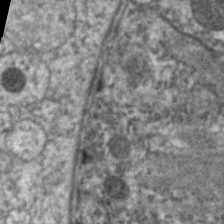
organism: C. elegans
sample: Pharynx